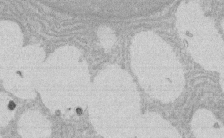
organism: Rat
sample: Salivary granule